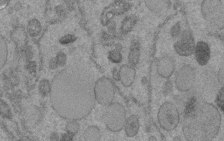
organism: C. elegans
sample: C. elegans embryo early stage